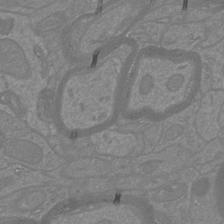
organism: Mouse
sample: Cortical neurons